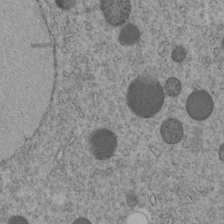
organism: C. elegans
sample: C. elegans embryo early stage